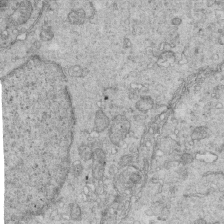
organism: Mouse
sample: Multiciliated cells